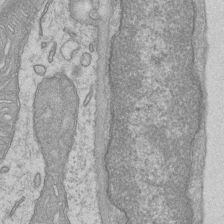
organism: Mouse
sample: CA1 Hippocampus